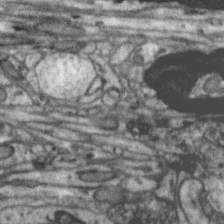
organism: Zebra finch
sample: Brain